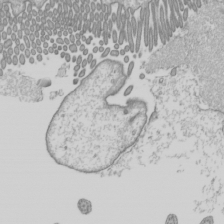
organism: Mouse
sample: Cilia; mouse epididymis